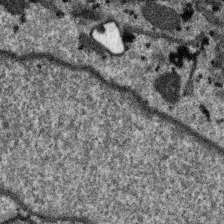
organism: Human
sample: Lung epithelial cells infected with SARS-CoV-2